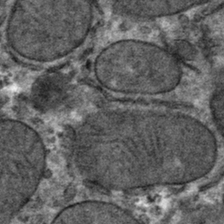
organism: Mouse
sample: Mouse hepatocytes